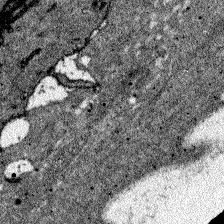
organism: Zebrafish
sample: Larval olfactory bulb